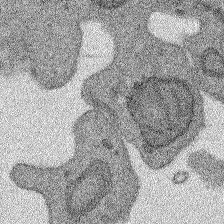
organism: Human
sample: HeLa cells